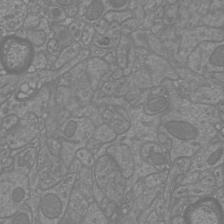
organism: Mouse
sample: Cortical neurons